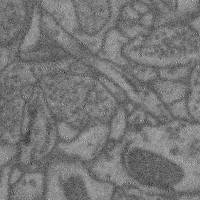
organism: Mouse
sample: Cerebral cortex